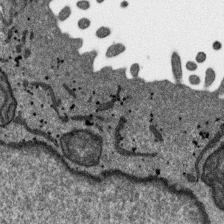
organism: Human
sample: Lung epithelial cells, uninfected (mock) control